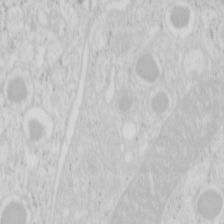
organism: Mouse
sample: Pancreas